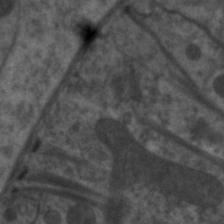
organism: C. elegans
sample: Pharynx